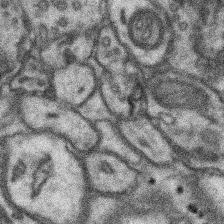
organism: Mouse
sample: Somatosensory cortex neuropil